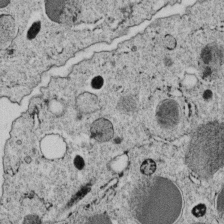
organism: C. elegans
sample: C. elegans embryo early stage